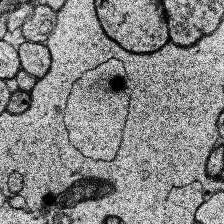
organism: Human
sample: Temporal Lobe